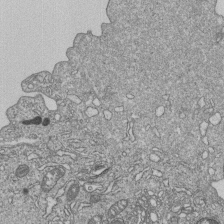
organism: Human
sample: MDA-MB-231 cells